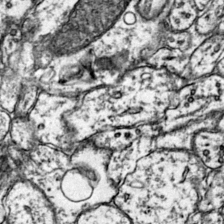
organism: Mouse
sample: Primary visual cortex